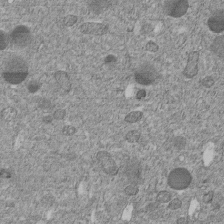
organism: C. elegans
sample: C. elegans embryo early stage